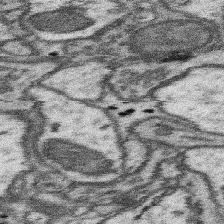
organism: Mouse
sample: Somatosensory cortex neuropil